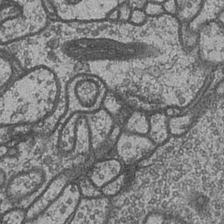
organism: Drosophila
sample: Optic medulla